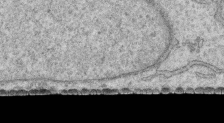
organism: Human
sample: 1205lu cells